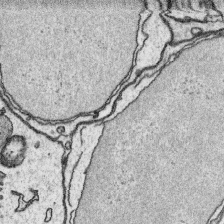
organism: Platynereis dumerilii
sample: Parapodia